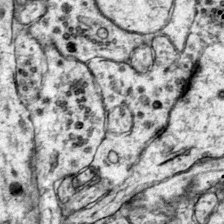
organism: Mouse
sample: Primary visual cortex